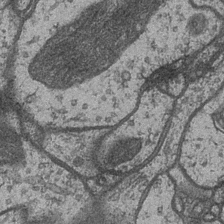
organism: Drosophila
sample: Optic medulla